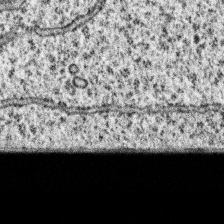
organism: Human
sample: HeLa cells